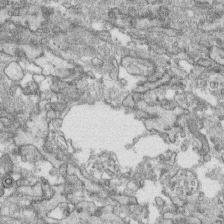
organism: Human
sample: CRL-1474